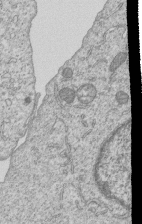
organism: Human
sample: MDA-MB-231 cells